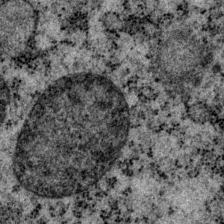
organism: P. pacificus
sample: Pharynx